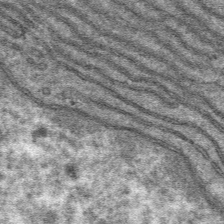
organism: Mouse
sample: Mouse hepatocytes